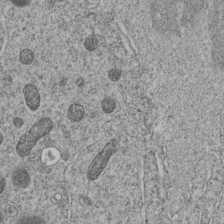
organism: C. elegans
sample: C. elegans embryo early stage